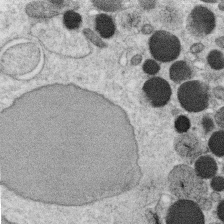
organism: C. elegans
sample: C. elegans oocyte; sperm cells